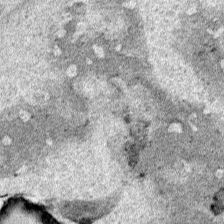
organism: Human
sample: Mitochondria in HCT116 cells